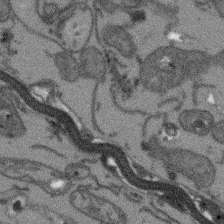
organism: Arabidopsis thaliana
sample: Root tip